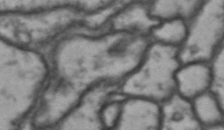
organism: Drosophila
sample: Brain